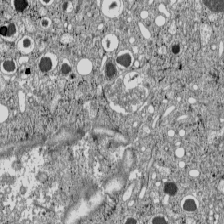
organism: C57BL Mouse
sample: Pancreatic islet